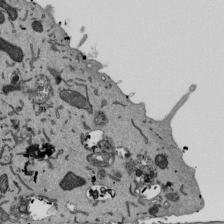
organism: Mouse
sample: ED-1 cell nuclei; centrioles